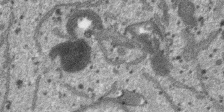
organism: Human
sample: Lung epithelial cells infected with SARS-CoV-2